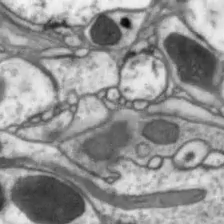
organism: Drosophila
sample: Optic lobe